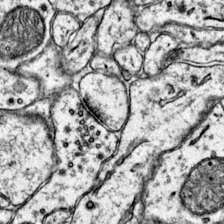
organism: Mouse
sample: Primary visual cortex